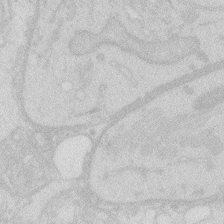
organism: Zebrafish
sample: Macrophage